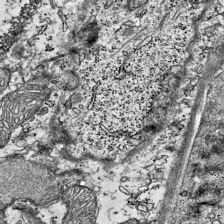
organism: Mouse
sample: Visual Cortex